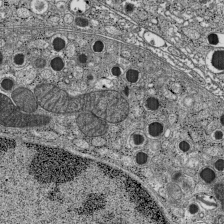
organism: C57BL Mouse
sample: Pancreatic islet